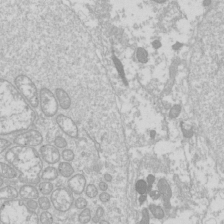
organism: Drosophila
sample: Cell division; meiosis; drosophila spermatocytes